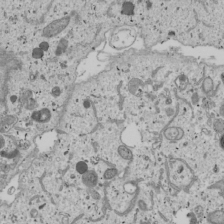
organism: Human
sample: Mitochondria in U2OS cells